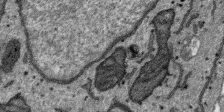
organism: Human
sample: Lung epithelial cells, uninfected (mock) control